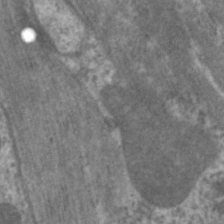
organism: C. elegans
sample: Pharynx